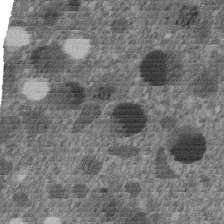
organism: C. elegans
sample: C. elegans embryo early stage